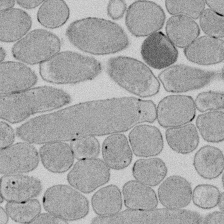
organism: E. coli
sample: Bacterial nucleoid